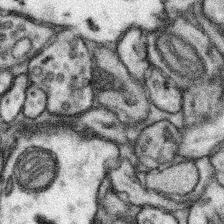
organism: Mouse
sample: Somatosensory cortex neuropil